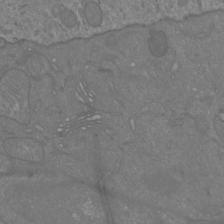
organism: Mouse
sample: Cortical neurons